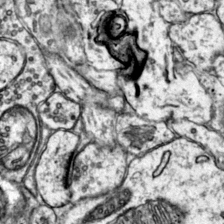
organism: Mouse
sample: Primary visual cortex